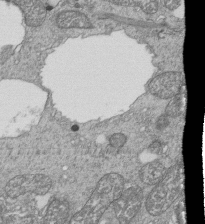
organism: Tetrahymena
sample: Cilia in tetrahymena